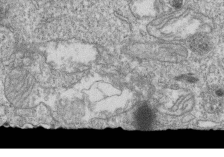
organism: Human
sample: HeLa cell HIV synapse